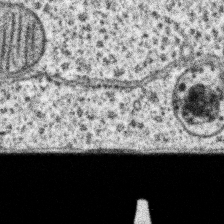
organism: Human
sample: HeLa cells